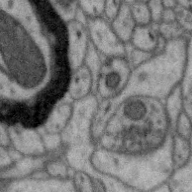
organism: Zebra finch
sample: Brain